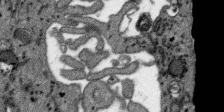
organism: Human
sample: Lung epithelial cells, uninfected (mock) control